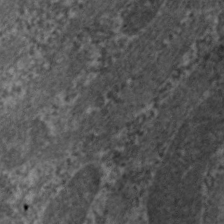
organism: C. elegans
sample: Pharynx